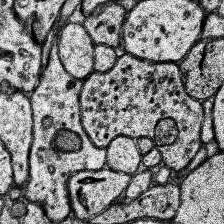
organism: Human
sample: Temporal Lobe